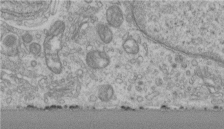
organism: Human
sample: Centriole in RPE cells